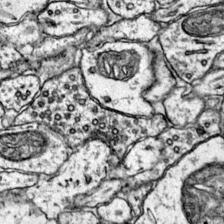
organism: Mouse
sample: Primary visual cortex